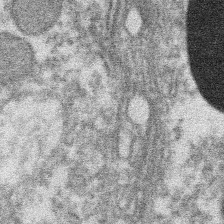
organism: Xenopus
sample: Cilia; centrioles in frog embryo cells